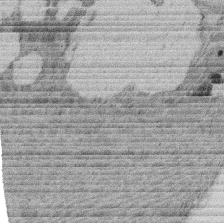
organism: Rat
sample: Salivary granule